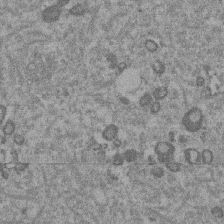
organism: Mouse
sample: Dividing mouse embryo 1 cell stage